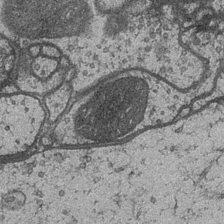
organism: Drosophila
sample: Optic medulla